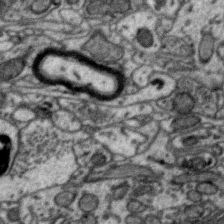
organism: Zebra finch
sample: Brain